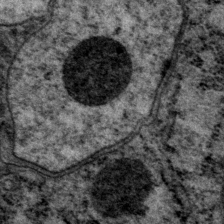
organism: P. pacificus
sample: Pharynx